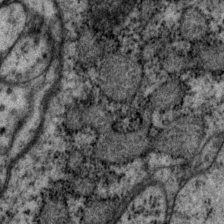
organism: P. pacificus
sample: Pharynx